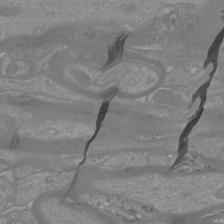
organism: Mouse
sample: Cortical neurons